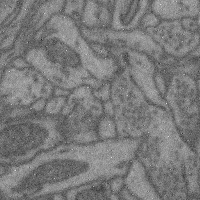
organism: Mouse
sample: Cerebral cortex